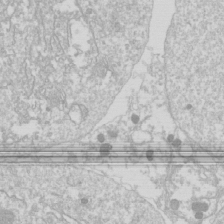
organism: Drosophila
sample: Cell division; meiosis; drosophila spermatocytes